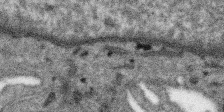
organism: Human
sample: Lung epithelial cells infected with SARS-CoV-2